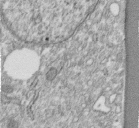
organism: Human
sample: Centriole in fibroblast cells